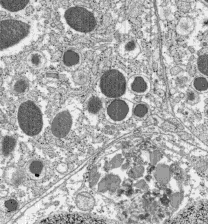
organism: C57BL Mouse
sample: Pancreatic islet